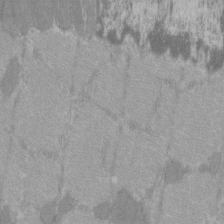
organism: C57BL Mouse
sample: Tibialis anterior muscle cell